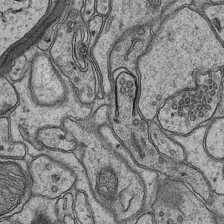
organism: Mouse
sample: CA1 Hippocampus